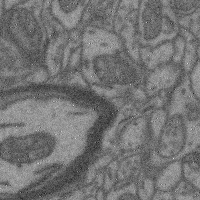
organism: Mouse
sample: Cerebral cortex